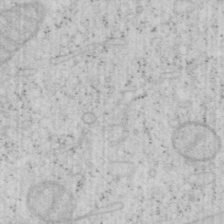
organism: Human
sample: HeLa cells